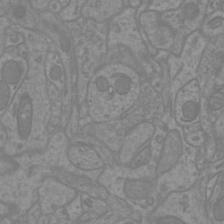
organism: Mouse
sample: Cortical neurons